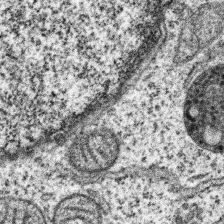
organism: Human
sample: HeLa cells